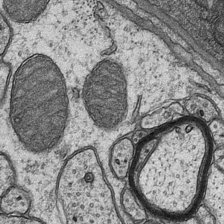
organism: Mouse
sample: CA1 Hippocampus